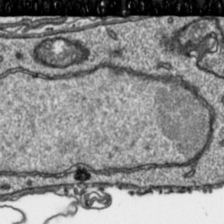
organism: Toxoplasma gondii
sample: Parasites in a vacuole inside a host cell